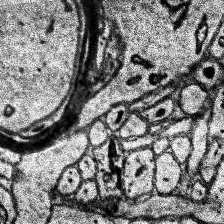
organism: Human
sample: Temporal Lobe